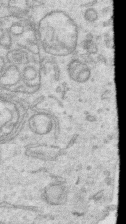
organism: Human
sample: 1205lu cells